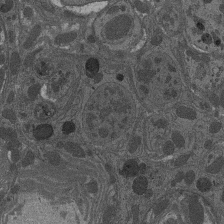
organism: Drosophila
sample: Antenna